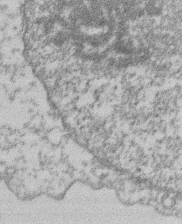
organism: Mouse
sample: T cell stromal cell synapse